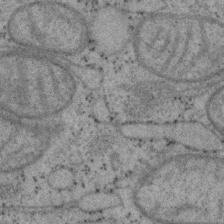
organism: Human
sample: HeLa cells